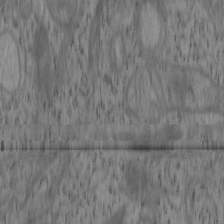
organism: Human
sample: HeLa cells